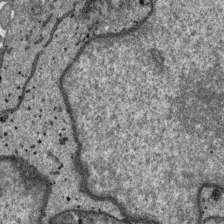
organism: Human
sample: Lung epithelial cells, uninfected (mock) control